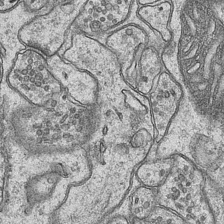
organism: Mouse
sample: CA1 Hippocampus